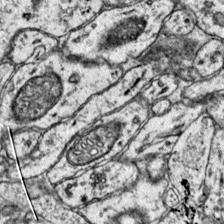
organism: Mouse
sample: Primary visual cortex